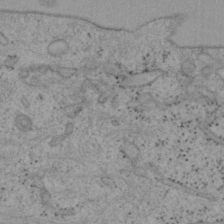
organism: Human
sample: HeLa cells